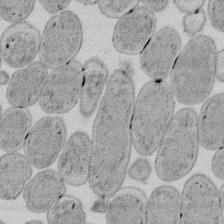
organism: E. coli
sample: Bacterial nucleoid